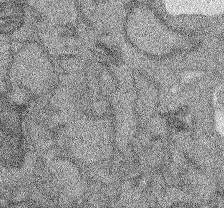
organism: Human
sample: HeLa cells